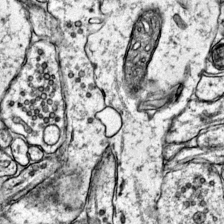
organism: Mouse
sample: Primary visual cortex